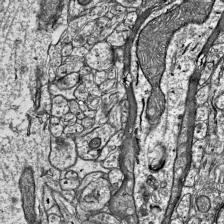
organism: Mouse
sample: Visual Cortex